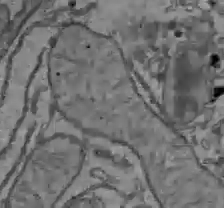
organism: C57BL Mouse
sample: Liver